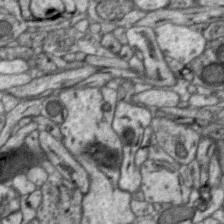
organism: Zebra finch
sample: Brain